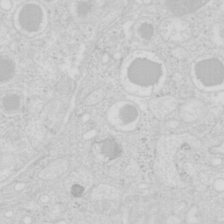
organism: Mouse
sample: Pancreas